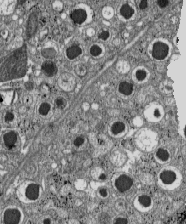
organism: C57BL Mouse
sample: Pancreatic islet